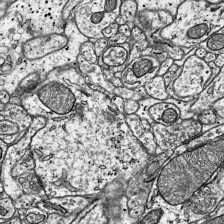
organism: Mouse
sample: Visual Cortex